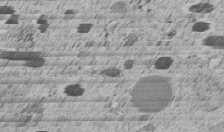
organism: C. elegans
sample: C. elegans embryo early stage